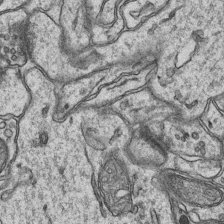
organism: Mouse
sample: CA1 Hippocampus